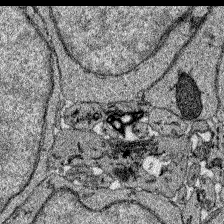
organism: Zebrafish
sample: Larval olfactory bulb